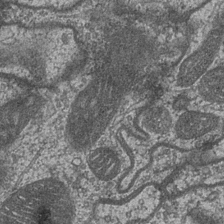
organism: Drosophila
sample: Optic medulla